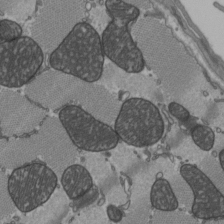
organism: C57BL Mouse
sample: Heart